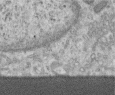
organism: Human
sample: Centriole in RPE cells